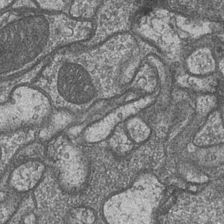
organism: Drosophila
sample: Optic medulla